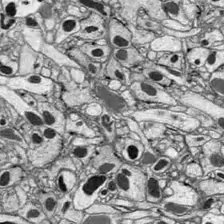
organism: Drosophila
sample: Optic lobe